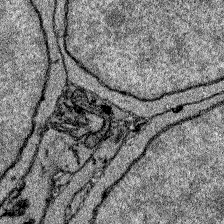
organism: Zebrafish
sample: Larval olfactory bulb